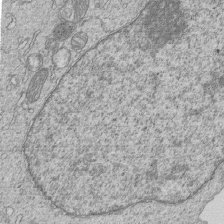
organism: Human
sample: MDA-MB-231 cells